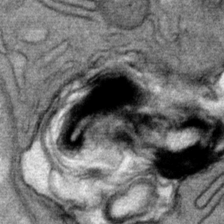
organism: Mouse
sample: Mouse Salivary gland